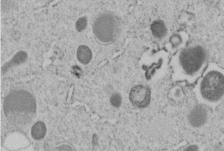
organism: C. elegans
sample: C. elegans embryo early stage